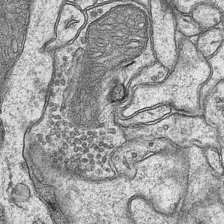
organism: Mouse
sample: CA1 Hippocampus